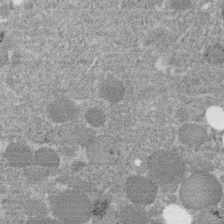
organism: C. elegans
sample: C. elegans embryo early stage